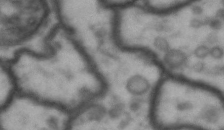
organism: Drosophila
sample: Brain